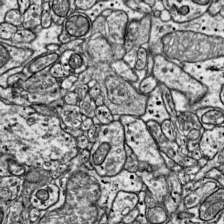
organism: Mouse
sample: Visual Cortex